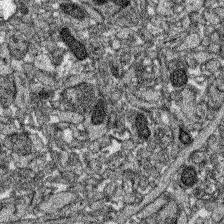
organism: Zebrafish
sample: Larval olfactory bulb